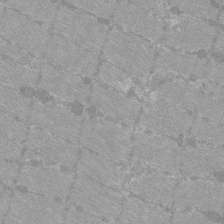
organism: C57BL Mouse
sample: Tibialis anterior muscle cell